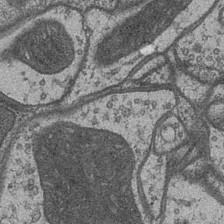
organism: Drosophila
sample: Optic medulla